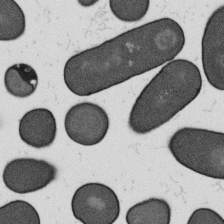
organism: B. subtilis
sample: Bacterial spore